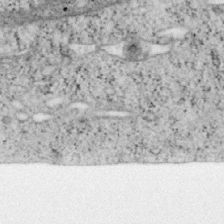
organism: Mouse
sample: OT-I killer T cells with ID8 ovarian cancer cells